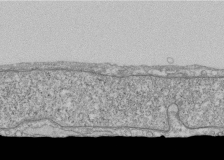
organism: Human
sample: Fibroblast cells